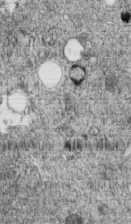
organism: C. elegans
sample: C. elegans embryo early stage